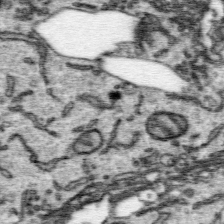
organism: Human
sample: HeLa cells